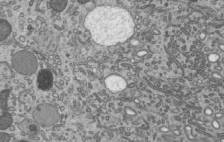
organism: Mouse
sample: Mouse epididymis efferent ductule cilia